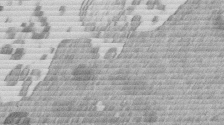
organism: Mouse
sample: Dividing mouse embryo 1 cell stage